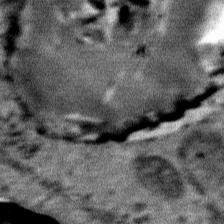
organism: Mouse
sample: Mouse Salivary gland